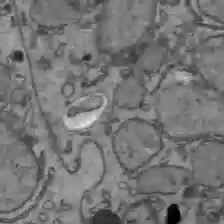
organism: C57BL Mouse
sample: Liver